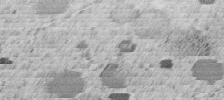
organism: C. elegans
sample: C. elegans embryo early stage